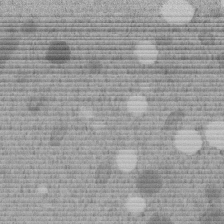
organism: C. elegans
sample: C. elegans embryo early stage